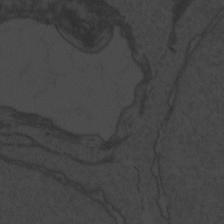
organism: Zebrafish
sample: Macrophage infected with Toxoplasma gondii